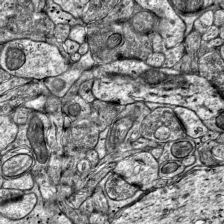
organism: Mouse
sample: Visual Cortex